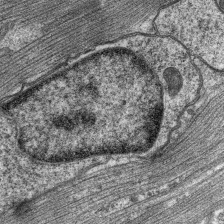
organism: C. elegans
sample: Pharynx